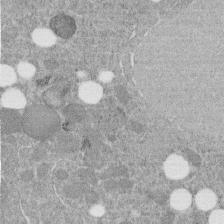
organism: C. elegans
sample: C. elegans embryo early stage